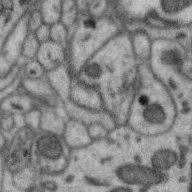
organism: Zebra finch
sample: Brain